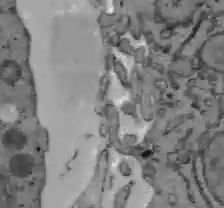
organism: C57BL Mouse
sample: Liver